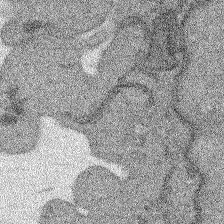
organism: Human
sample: HeLa cells